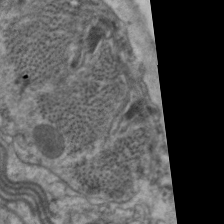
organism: C. elegans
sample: Pharynx